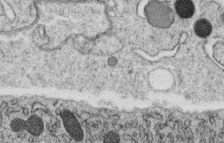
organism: C. elegans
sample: C. elegans oocyte; sperm cells